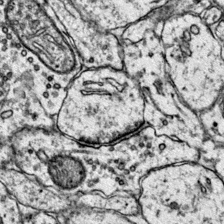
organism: Mouse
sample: Primary visual cortex